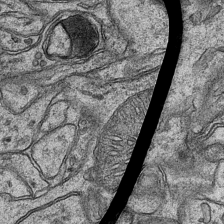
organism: Mouse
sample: CA1 Hippocampus